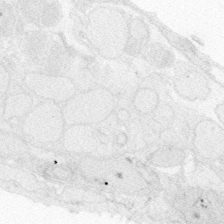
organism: Zebrafish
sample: Whole-Brain